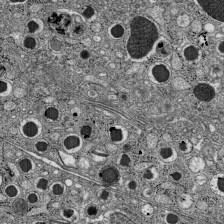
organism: C57BL Mouse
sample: Pancreatic islet